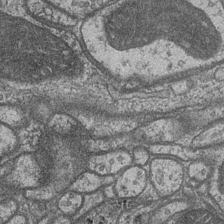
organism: Drosophila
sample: Optic medulla